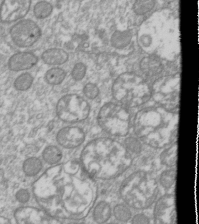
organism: Drosophila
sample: Cell division; meiosis; drosophila spermatocytes